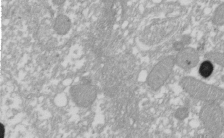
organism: Xenopus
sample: Cilia; centrioles in frog embryo cells